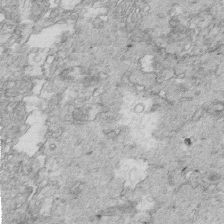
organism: Mouse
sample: Multiciliated cells